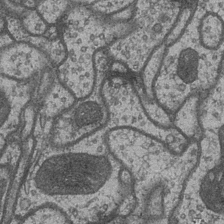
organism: Drosophila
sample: Optic medulla